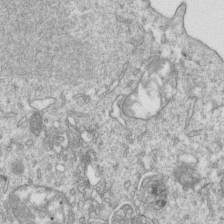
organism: Mouse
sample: Activated OT-1 CD8+ T cells